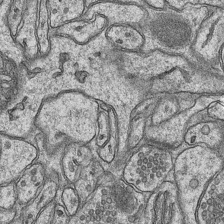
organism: Mouse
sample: CA1 Hippocampus